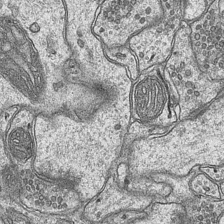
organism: Mouse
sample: CA1 Hippocampus